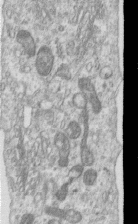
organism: Human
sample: Centriole in RPE cells